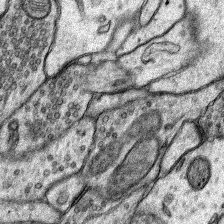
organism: Rat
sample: Hippocampus